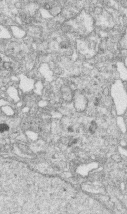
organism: Human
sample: HeLa cell HIV synapse